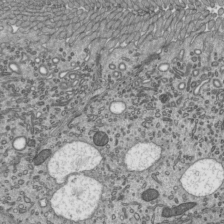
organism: Mouse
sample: Mouse epididymis efferent ductule cilia